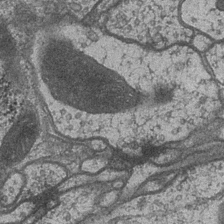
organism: Drosophila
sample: Optic medulla